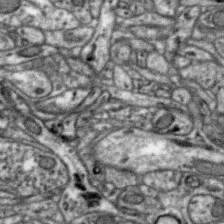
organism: Zebra finch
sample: Brain